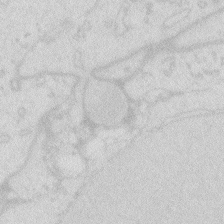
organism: Zebrafish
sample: Macrophage